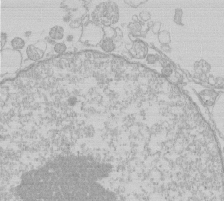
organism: Human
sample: Macrophage cells